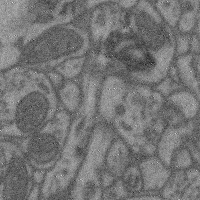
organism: Mouse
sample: Cerebral cortex